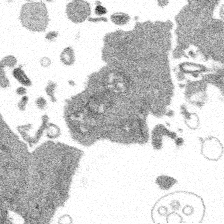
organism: Spongilla lacustris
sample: Multiple